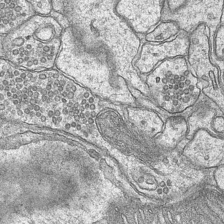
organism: Mouse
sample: CA1 Hippocampus